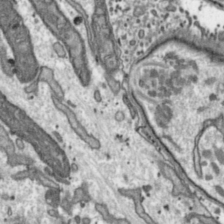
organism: Toxoplasma gondii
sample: Parasites in a vacuole inside a host cell